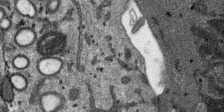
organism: Human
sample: Lung epithelial cells infected with SARS-CoV-2